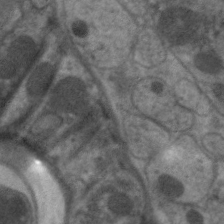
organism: C. elegans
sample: Pharynx